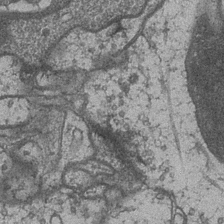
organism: Drosophila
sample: Optic medulla